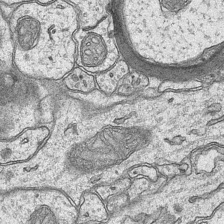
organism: Mouse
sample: CA1 Hippocampus